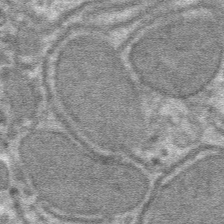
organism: Mouse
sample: Mouse hepatocytes